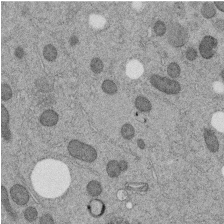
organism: C. elegans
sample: C. elegans embryo early stage